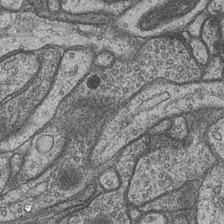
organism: Drosophila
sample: Optic medulla